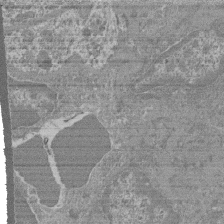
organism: Mouse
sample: Glomerulus